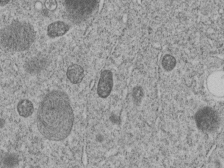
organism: C. elegans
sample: C. elegans embryo early stage